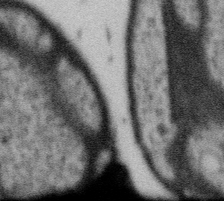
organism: Gemmata obscuriglobus